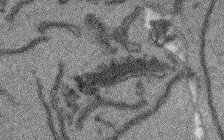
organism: Arabidopsis thaliana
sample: Root tip